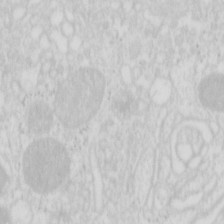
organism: Mouse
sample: Pancreas